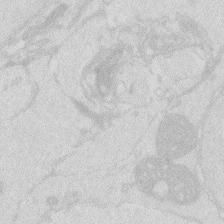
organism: Zebrafish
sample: Macrophage